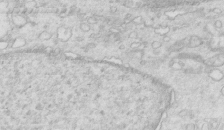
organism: Mouse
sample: Multiciliated cells